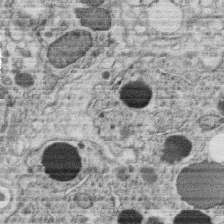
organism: C. elegans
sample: C. elegans oocyte; sperm cells